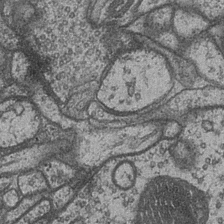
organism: Drosophila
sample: Optic medulla